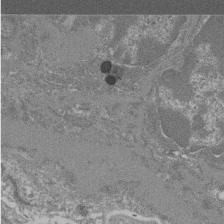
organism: Mouse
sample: Glomerulus